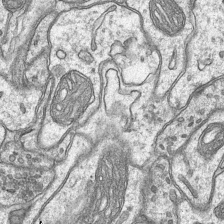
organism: Mouse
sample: CA1 Hippocampus